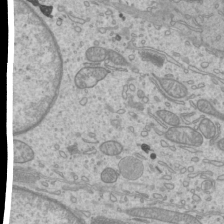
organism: Mouse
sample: Cilia; mouse epididymis